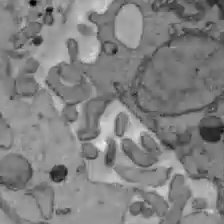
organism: C57BL Mouse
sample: Liver